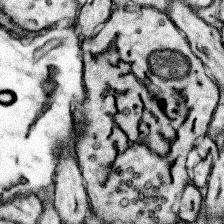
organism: Mouse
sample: Somatosensory cortex neuropil